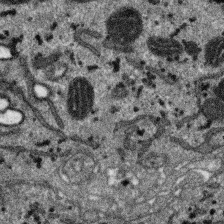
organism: Human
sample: Lung epithelial cells infected with SARS-CoV-2